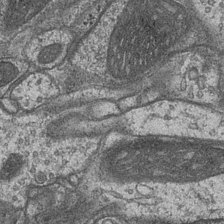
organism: Drosophila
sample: Optic medulla